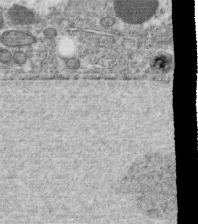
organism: C. elegans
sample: C. elegans oocyte; sperm cells